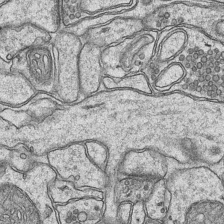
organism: Mouse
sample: CA1 Hippocampus